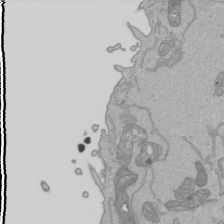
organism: Human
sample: Mitochondria in HCT116 cells